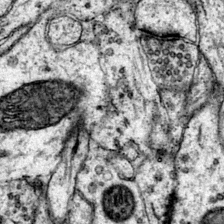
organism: Mouse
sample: Primary visual cortex